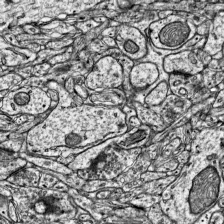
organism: Mouse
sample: Visual Cortex